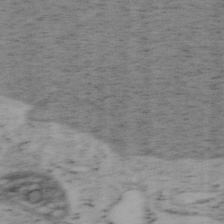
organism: Mouse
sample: OT-I killer T cells with ID8 ovarian cancer cells